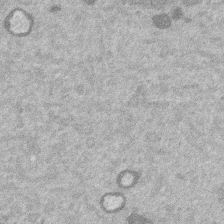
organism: Mouse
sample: Dividing mouse embryo 1 cell stage